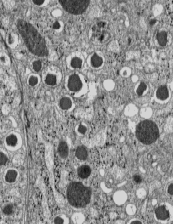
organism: C57BL Mouse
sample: Pancreatic islet